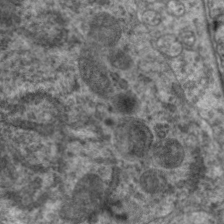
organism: C. elegans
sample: Pharynx